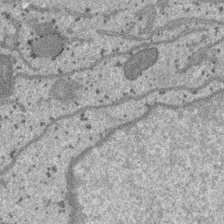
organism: Human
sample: Lung epithelial cells infected with SARS-CoV-2